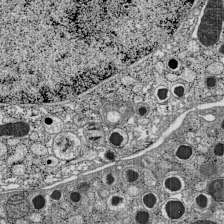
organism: C57BL Mouse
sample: Pancreatic islet